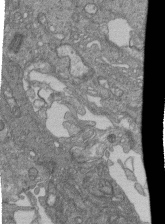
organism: Human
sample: Retinal organoid Rod and Cone cells